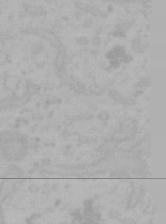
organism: Mouse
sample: Choroid plexus